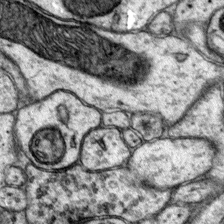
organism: Mouse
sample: Primary visual cortex